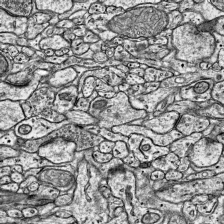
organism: Mouse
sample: Visual Cortex